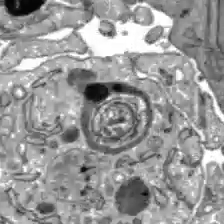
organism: C57BL Mouse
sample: Liver